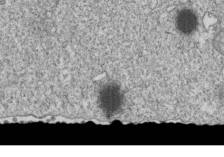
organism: Human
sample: HeLa cell HIV synapse